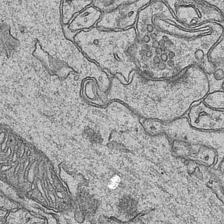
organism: Mouse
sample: CA1 Hippocampus